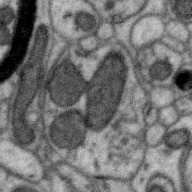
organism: Zebra finch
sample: Brain